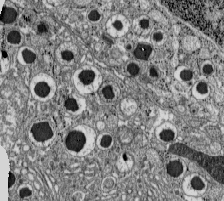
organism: C57BL Mouse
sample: Pancreatic islet